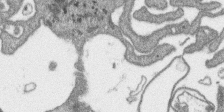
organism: Human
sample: Lung epithelial cells infected with SARS-CoV-2